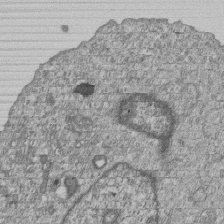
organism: Human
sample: MDA-MB-231 cells